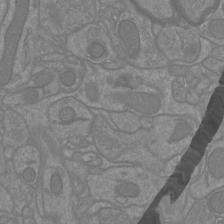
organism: Mouse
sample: Cortical neurons